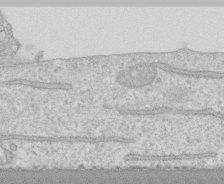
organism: Human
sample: CRL-1474